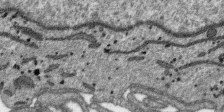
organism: Human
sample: Lung epithelial cells, uninfected (mock) control